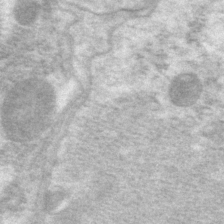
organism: P. pacificus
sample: Pharynx